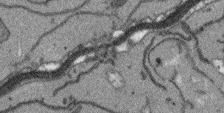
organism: Arabidopsis thaliana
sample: Root tip